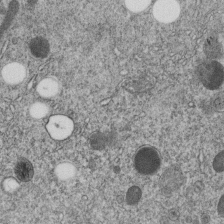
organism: C. elegans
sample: C. elegans embryo early stage